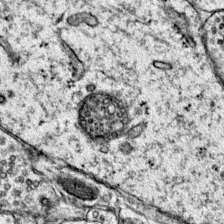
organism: Mouse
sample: Primary visual cortex